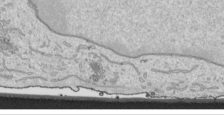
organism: Human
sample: Mitochondria in HCT116 cells